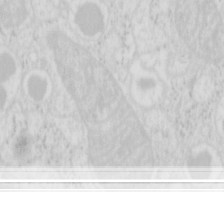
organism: Mouse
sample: Pancreas